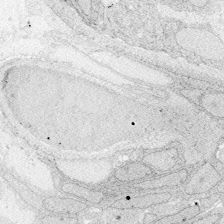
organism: Zebrafish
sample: Whole-Brain